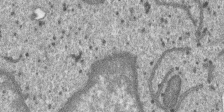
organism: Human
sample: Lung epithelial cells infected with SARS-CoV-2